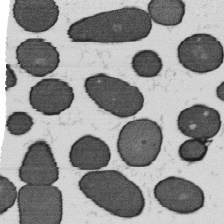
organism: B. subtilis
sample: Bacterial spore